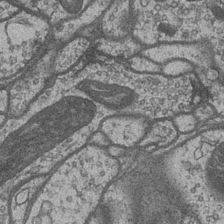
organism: Drosophila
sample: Optic medulla